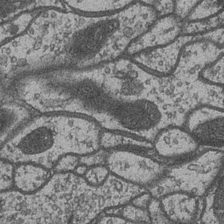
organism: Drosophila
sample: Optic medulla